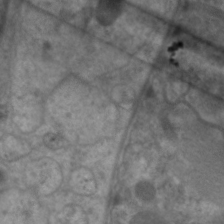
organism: C. elegans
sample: Pharynx